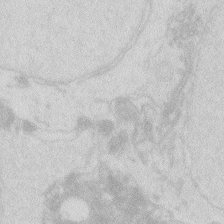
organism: Zebrafish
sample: Macrophage